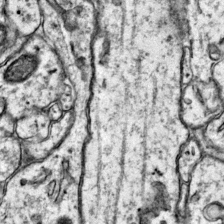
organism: Mouse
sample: Primary visual cortex